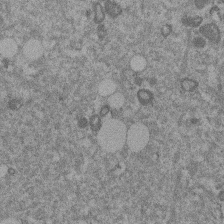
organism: Mouse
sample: Dividing mouse embryo 1 cell stage